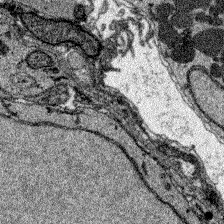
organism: Zebrafish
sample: Larval olfactory bulb